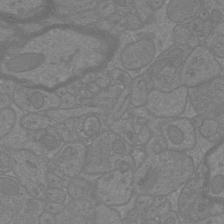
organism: Mouse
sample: Cortical neurons